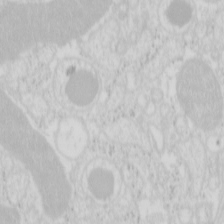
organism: Mouse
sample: Pancreas